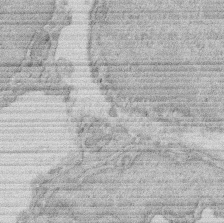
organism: Rat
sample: Salivary granule